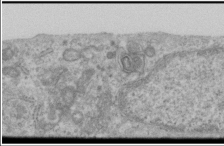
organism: Human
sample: Cilia; basal body in RPE cells